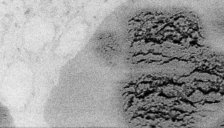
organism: Embia sp.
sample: Silk gland